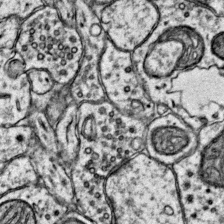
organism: Mouse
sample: Primary visual cortex